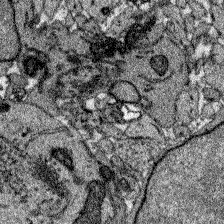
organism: Zebrafish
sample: Larval olfactory bulb